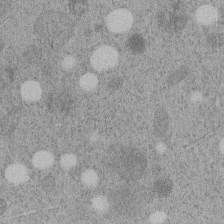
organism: C. elegans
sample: C. elegans embryo early stage